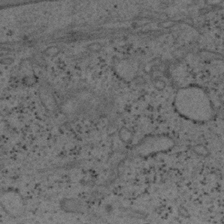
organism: Human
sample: HeLa cells